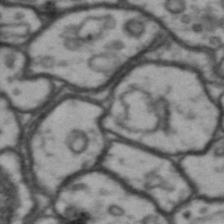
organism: Drosophila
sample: Brain